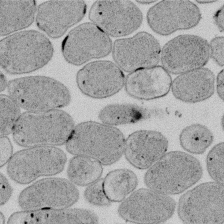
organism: E. coli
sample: Bacterial nucleoid